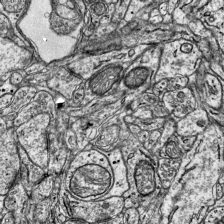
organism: Mouse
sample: Visual Cortex